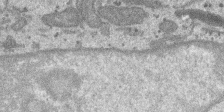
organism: Human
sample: Lung epithelial cells infected with SARS-CoV-2